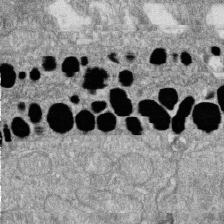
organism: Zebrafish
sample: Cilia; retinal pigment epithelium